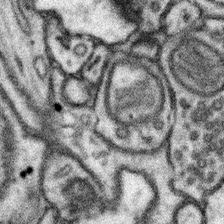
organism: Mouse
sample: Somatosensory cortex neuropil